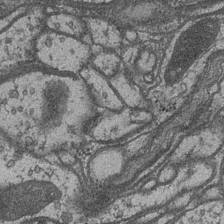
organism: Drosophila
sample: Optic medulla